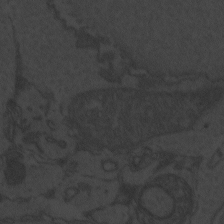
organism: Zebrafish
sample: Macrophage infected with Toxoplasma gondii